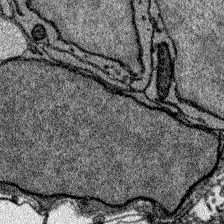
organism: Zebrafish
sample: Larval olfactory bulb